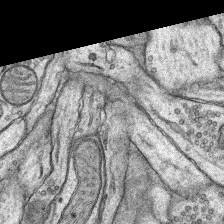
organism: Rat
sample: Hippocampus